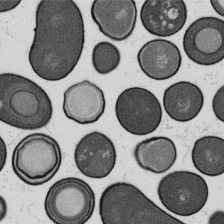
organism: B. subtilis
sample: Bacterial spore